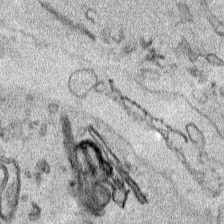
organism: Human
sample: Mitochondria in HCT116 cells